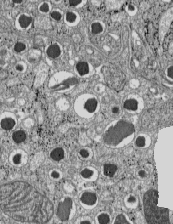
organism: C57BL Mouse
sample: Pancreatic islet